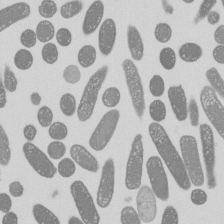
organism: E. coli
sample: Bacterial nucleoid